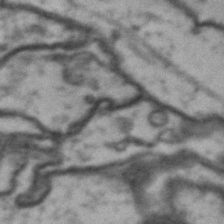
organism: Drosophila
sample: Brain